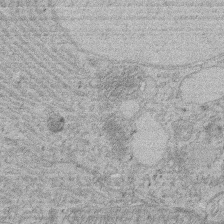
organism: Rat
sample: Salivary granule